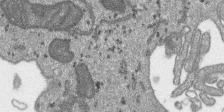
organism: Human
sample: Lung epithelial cells infected with SARS-CoV-2